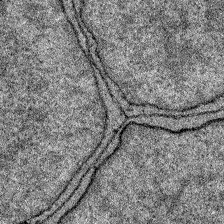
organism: Zebrafish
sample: Larval olfactory bulb